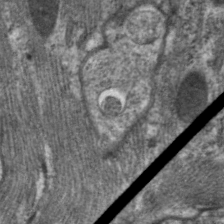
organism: C. elegans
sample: Pharynx